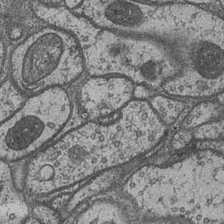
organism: Drosophila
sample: Optic medulla